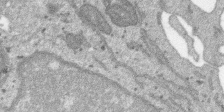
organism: Human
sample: Lung epithelial cells infected with SARS-CoV-2